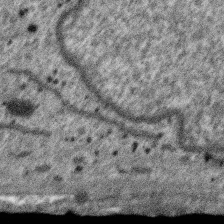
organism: Human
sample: Lung epithelial cells infected with SARS-CoV-2